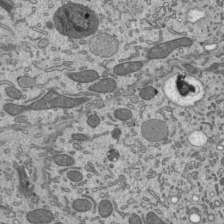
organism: Mouse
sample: Mouse epididymis efferent ductule cilia